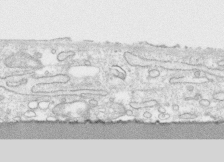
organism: Human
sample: CRL-1474